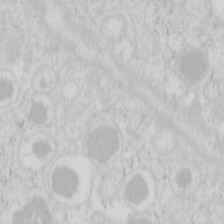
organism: Mouse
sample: Pancreas